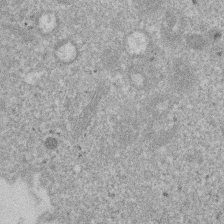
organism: Mouse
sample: Dividing mouse embryo 1 cell stage